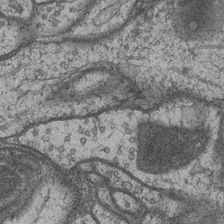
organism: Drosophila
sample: Optic medulla